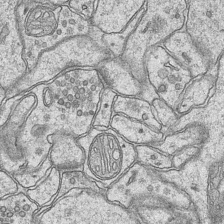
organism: Mouse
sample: CA1 Hippocampus